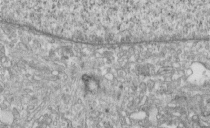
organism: Human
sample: Centriole in fibroblast cells